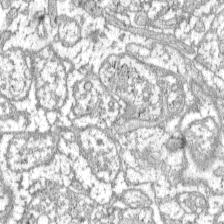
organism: C57BL Mouse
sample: Pancreatic islet